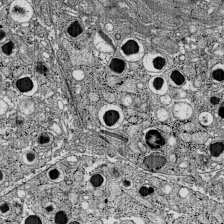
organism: C57BL Mouse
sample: Pancreatic islet